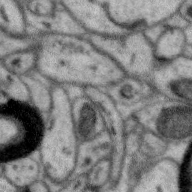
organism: Zebra finch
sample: Brain